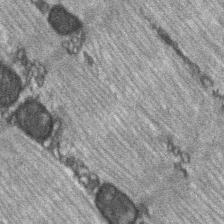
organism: C57BL Mouse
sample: Soleus